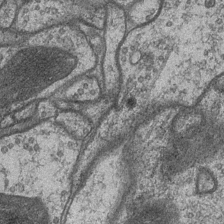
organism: Drosophila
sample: Optic medulla